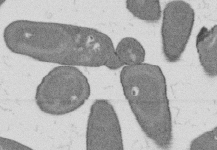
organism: B. subtilis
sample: Bacterial spore